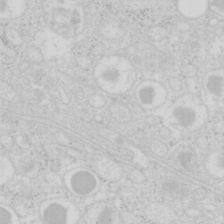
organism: Mouse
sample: Pancreas